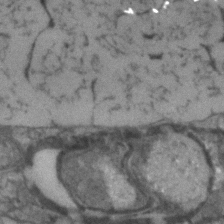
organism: Human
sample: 1205lu cells